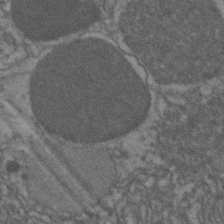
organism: Zebrafish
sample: Zebrafish embryo